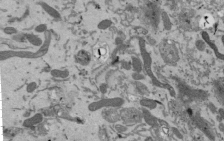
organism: Mouse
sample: ED-1 cell nuclei; centrioles